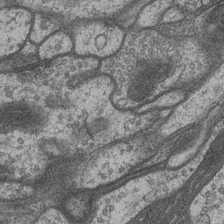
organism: Drosophila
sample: Optic medulla